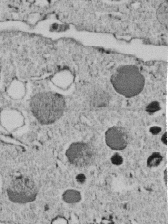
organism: C. elegans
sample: C. elegans embryo early stage